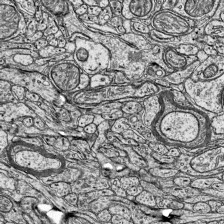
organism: Mouse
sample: Visual Cortex